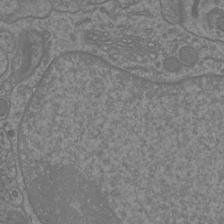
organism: Mouse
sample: Cortical neurons